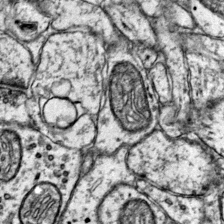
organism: Mouse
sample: Primary visual cortex